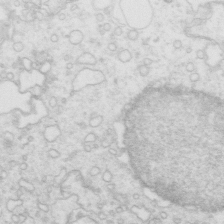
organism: Mouse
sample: Multiciliated cells